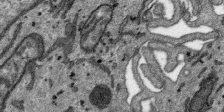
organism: Human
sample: Lung epithelial cells, uninfected (mock) control